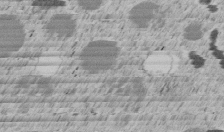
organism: C. elegans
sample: C. elegans embryo early stage